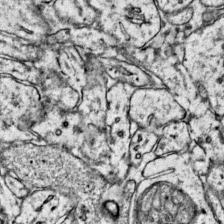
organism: Mouse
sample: Primary visual cortex